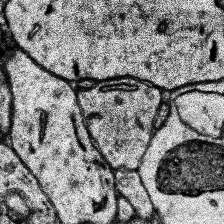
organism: Human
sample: Temporal Lobe